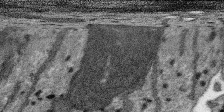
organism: Human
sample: Lung epithelial cells infected with SARS-CoV-2